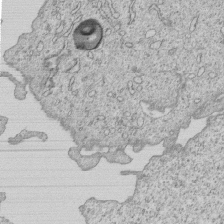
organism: Human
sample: MDA-MB-231 cells